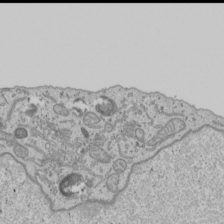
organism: Human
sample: Mitochondria in U2OS cells